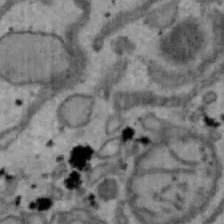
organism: Mouse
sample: Liver